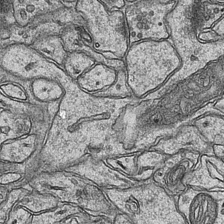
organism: Mouse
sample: CA1 Hippocampus